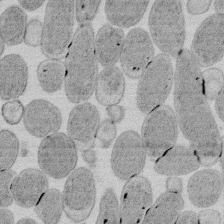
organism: E. coli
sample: Bacterial nucleoid